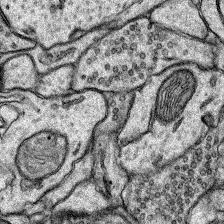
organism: Rat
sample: Hippocampus